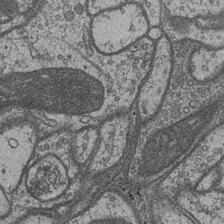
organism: Drosophila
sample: Optic medulla